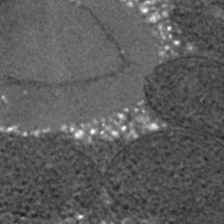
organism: C. elegans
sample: C. elegans embryo